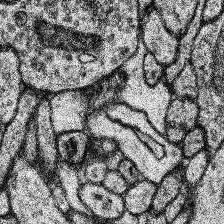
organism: Human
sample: Temporal Lobe